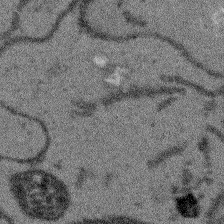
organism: Arabidopsis thaliana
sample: Root tip